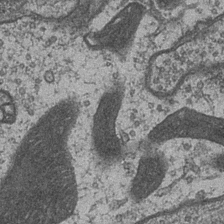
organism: Drosophila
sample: Optic medulla